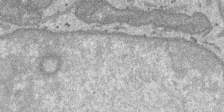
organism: Human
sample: Lung epithelial cells infected with SARS-CoV-2